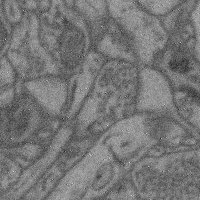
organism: Mouse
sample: Cerebral cortex